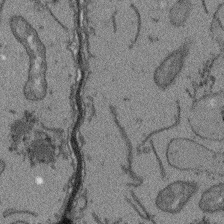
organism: Arabidopsis thaliana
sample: Root tip